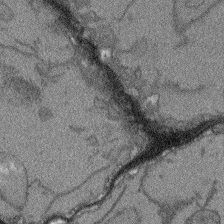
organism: Arabidopsis thaliana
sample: Root tip